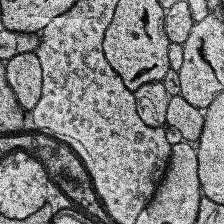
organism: Human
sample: Temporal Lobe